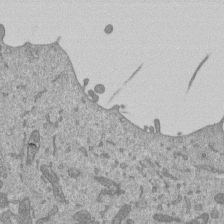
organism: Mouse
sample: ED-1 cell nuclei; centrioles